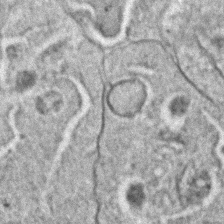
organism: C. elegans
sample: C. elegans embryo